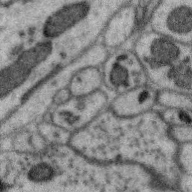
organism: Zebra finch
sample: Brain